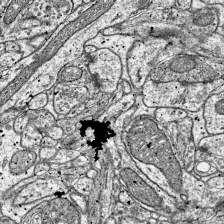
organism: Mouse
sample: Visual Cortex